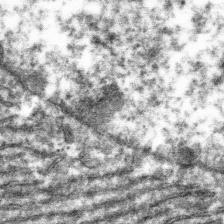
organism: Mouse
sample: Mouse hepatocytes